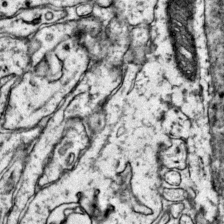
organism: Mouse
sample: Primary visual cortex